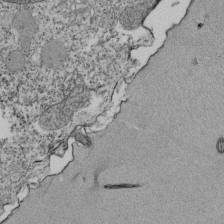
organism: Tetrahymena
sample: Cilia in tetrahymena